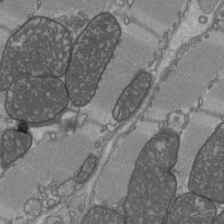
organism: C57BL Mouse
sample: Heart